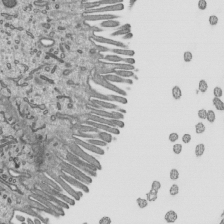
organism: Mouse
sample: Mouse epididymis efferent ductule cilia